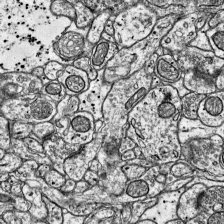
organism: Mouse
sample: Visual Cortex